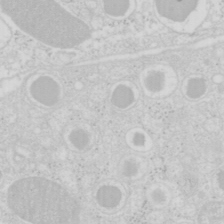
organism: Mouse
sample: Pancreas